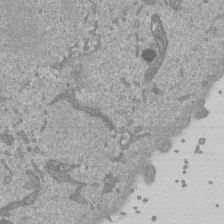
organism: Mouse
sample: ED-1 cell nuclei; centrioles